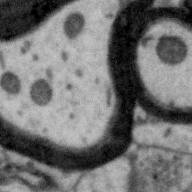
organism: Zebra finch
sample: Brain